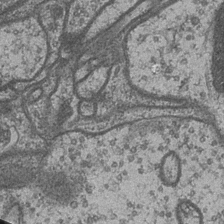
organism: Drosophila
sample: Optic medulla